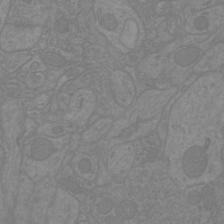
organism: Mouse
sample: Cortical neurons